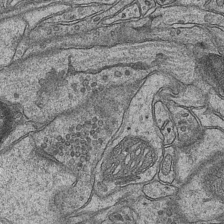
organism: Mouse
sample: CA1 Hippocampus